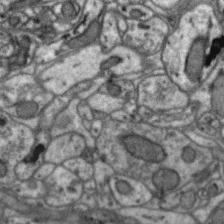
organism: Zebra finch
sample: Brain